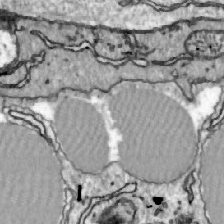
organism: Zebrafish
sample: Actinotrichia fibers